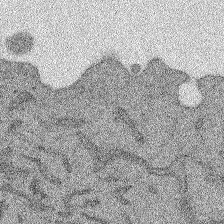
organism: Human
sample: HeLa cells